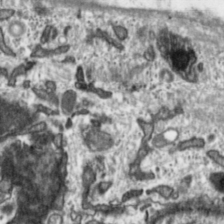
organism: Toxoplasma gondii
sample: Parasites in a vacuole inside a host cell